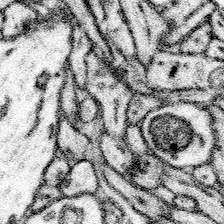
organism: Mouse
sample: Somatosensory cortex neuropil